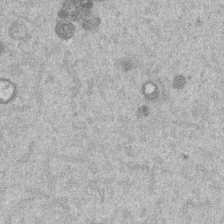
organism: Mouse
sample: Dividing mouse embryo 1 cell stage